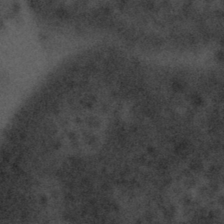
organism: Tuwongella immobilis